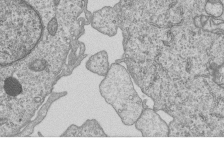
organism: Human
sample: MDA-MB-231 cells